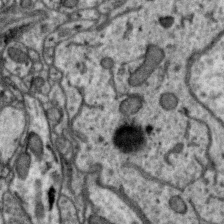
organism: Zebra finch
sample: Brain